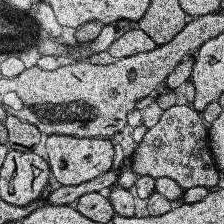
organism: Human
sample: Temporal Lobe